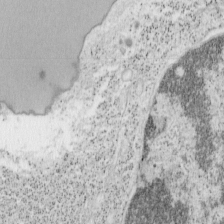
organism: Mouse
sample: OT-I killer T cells with ID8 ovarian cancer cells